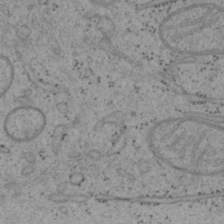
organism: Human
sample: HeLa cells